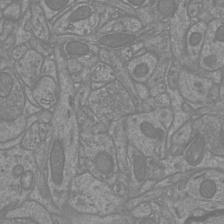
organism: Mouse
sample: Cortical neurons